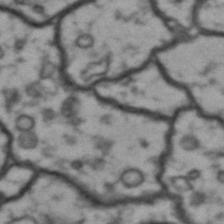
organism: Drosophila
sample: Brain